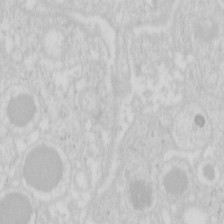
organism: Mouse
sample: Pancreas